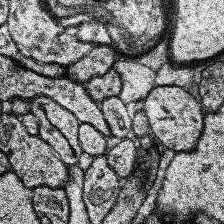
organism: Human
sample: Temporal Lobe